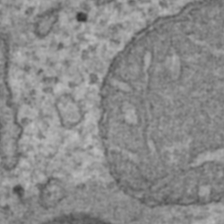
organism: Human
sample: Blood